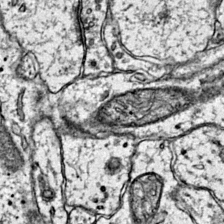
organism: Mouse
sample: Primary visual cortex